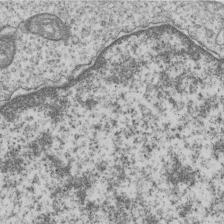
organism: Human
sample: MDA-MB-231 cells